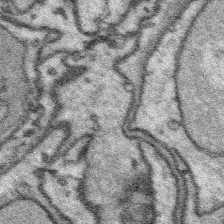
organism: Platynereis dumerilii